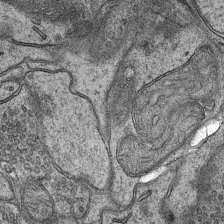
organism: Mouse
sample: CA1 Hippocampus